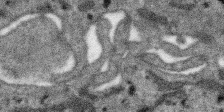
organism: Human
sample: Lung epithelial cells infected with SARS-CoV-2